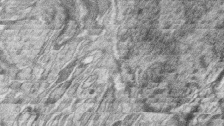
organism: Zebrafish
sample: synaptic ribbons in rod cells and cone cells